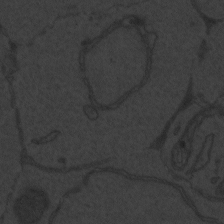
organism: Zebrafish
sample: Macrophage infected with Toxoplasma gondii